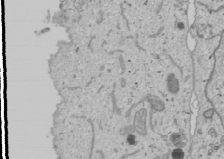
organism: Human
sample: Mitochondria in U2OS cells